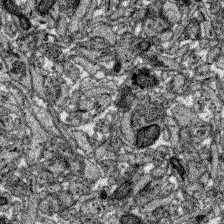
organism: Zebrafish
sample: Larval olfactory bulb